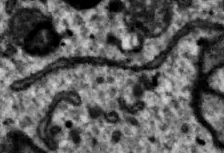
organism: Human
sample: HeLa cells